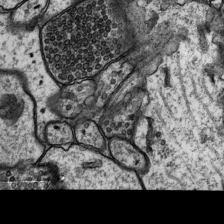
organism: Rat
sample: Hippocampus